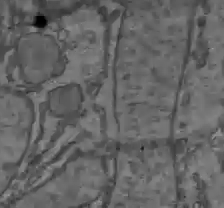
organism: C57BL Mouse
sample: Liver